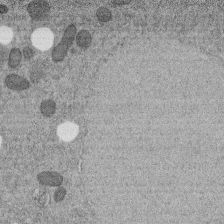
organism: C. elegans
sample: C. elegans embryo early stage